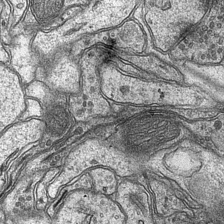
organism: Mouse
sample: CA1 Hippocampus